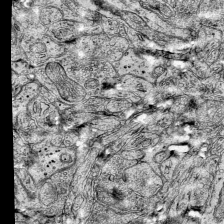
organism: Mouse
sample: Visual Cortex